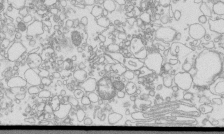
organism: Mouse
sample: Macrophages